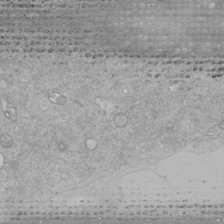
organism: Human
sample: Mitochondria in HCT116 cells